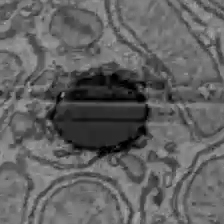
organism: C57BL Mouse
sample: Liver